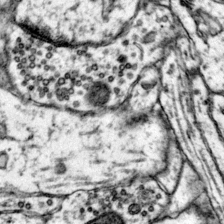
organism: Mouse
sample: Primary visual cortex